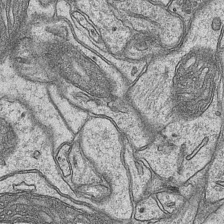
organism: Mouse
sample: CA1 Hippocampus